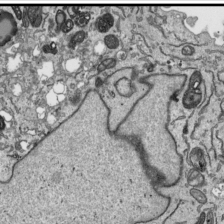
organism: Human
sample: Mitochondria in HCT116 cells